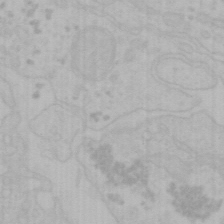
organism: Mouse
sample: Choroid plexus